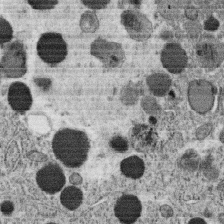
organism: C. elegans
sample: C. elegans oocyte; sperm cells